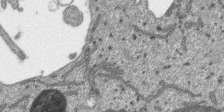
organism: Human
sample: Lung epithelial cells infected with SARS-CoV-2